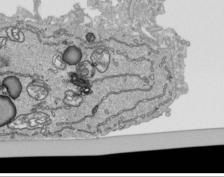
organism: Human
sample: Mitochondria in HCT116 cells